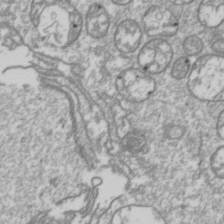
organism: Drosophila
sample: Cell division; meiosis; drosophila spermatocytes